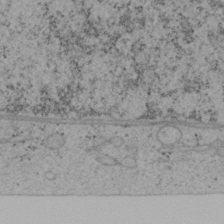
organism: Human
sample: HeLa cells